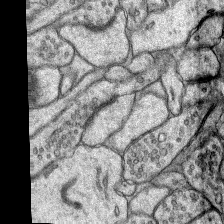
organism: Rat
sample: Hippocampus